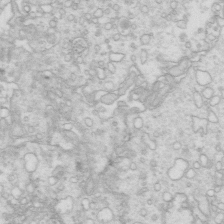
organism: Mouse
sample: Multiciliated cells